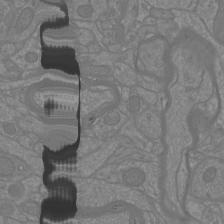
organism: Mouse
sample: Cortical neurons